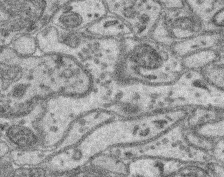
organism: Mouse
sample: Retina